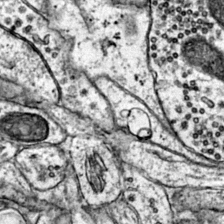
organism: Mouse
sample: Primary visual cortex